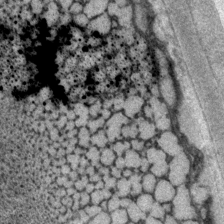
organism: P. pacificus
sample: Pharynx